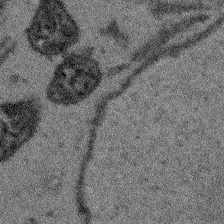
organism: Arabidopsis thaliana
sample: Root tip